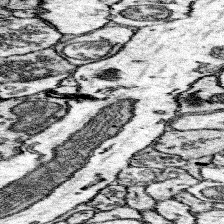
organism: Mouse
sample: Somatosensory cortex neuropil